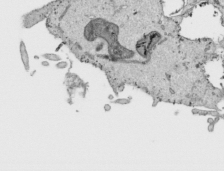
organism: Human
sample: Mitochondria in HCT116 cells